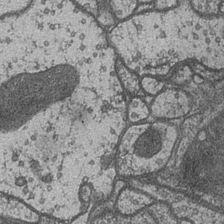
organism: Drosophila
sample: Optic medulla